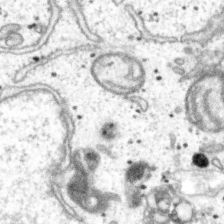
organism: Human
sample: HeLa cells